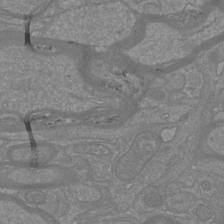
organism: Mouse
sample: Cortical neurons